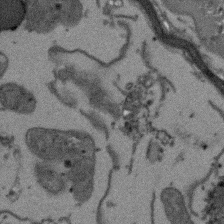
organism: Arabidopsis thaliana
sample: Root tip